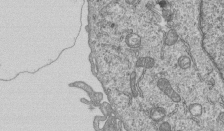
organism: Human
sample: MDA-MB-231 cells